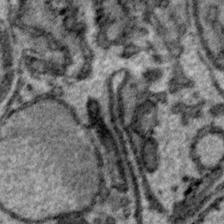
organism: Plasmodium falciparum